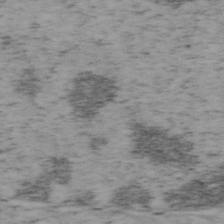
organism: Mouse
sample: OT-I killer T cells with ID8 ovarian cancer cells